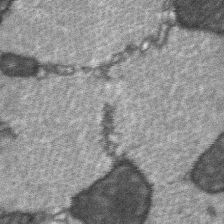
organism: C57BL Mouse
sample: Soleus